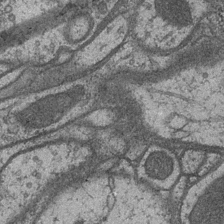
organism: Drosophila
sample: Optic medulla